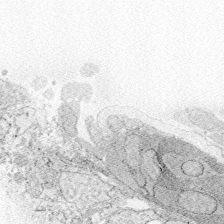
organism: Zebrafish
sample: Whole-Brain